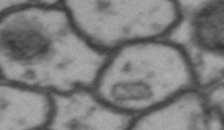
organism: Drosophila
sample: Brain